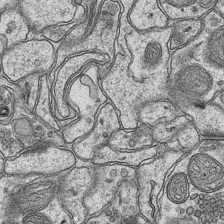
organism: Mouse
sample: CA1 Hippocampus